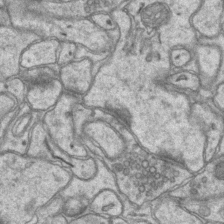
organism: Mouse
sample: CA1 Hippocampus